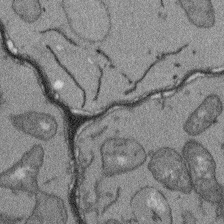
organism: Arabidopsis thaliana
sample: Root tip